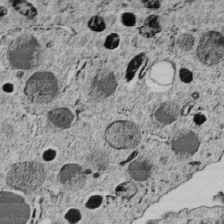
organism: C. elegans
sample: C. elegans embryo early stage